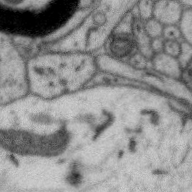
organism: Zebra finch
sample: Brain